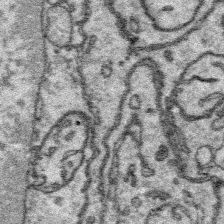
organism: Platynereis dumerilii